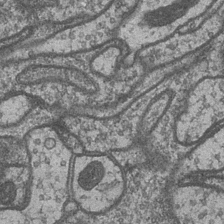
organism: Drosophila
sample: Optic medulla